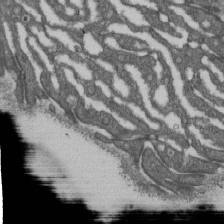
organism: Drosophila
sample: Nephrocyte